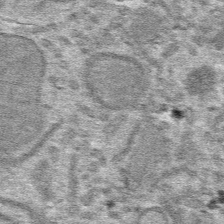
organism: Mouse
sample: Mouse hepatocytes